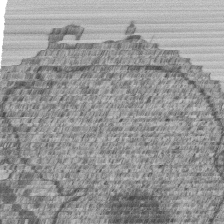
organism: Human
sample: MDA-MB-231 cells